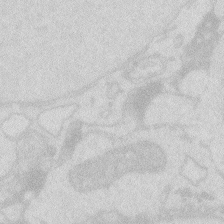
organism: Zebrafish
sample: Macrophage